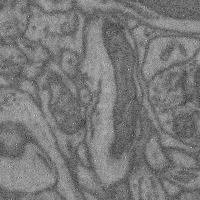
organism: Mouse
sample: Cerebral cortex